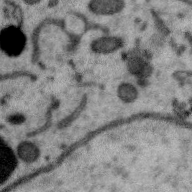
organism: Zebra finch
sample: Brain